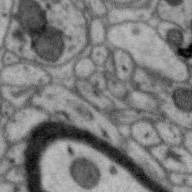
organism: Zebra finch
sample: Brain